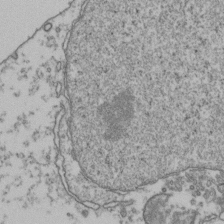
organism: Human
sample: Activated Jurkat CD4+ T cells